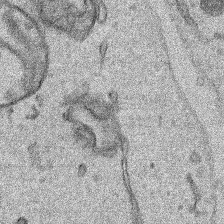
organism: Human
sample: Mitochondria in HCT116 cells